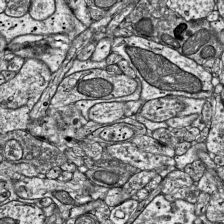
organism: Mouse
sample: Visual Cortex